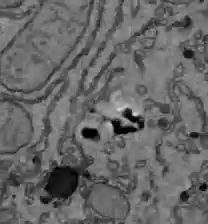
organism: C57BL Mouse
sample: Liver